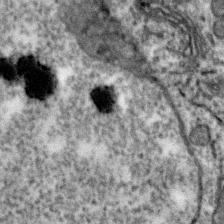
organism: Zebra finch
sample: Brain